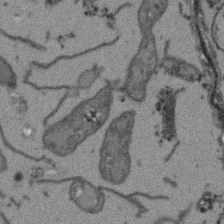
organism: Arabidopsis thaliana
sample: Root tip